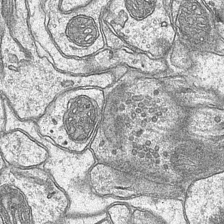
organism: Mouse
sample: CA1 Hippocampus